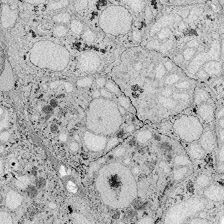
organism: Zebrafish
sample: Whole-Brain